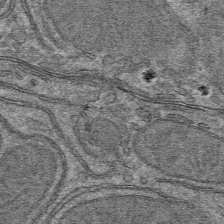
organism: Mouse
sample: Mouse hepatocytes